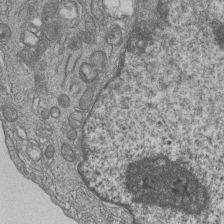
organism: Human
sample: MDA-MB-231 cells